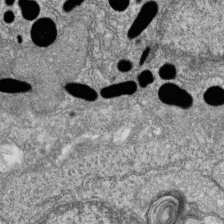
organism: Zebrafish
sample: Cilia; retinal pigment epithelium